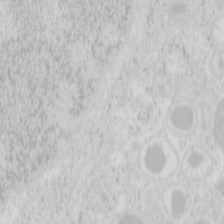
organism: Mouse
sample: Pancreas